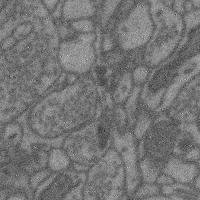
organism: Mouse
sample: Cerebral cortex